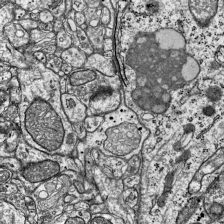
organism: Mouse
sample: Visual Cortex